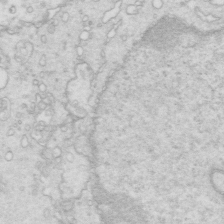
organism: Mouse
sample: Multiciliated cells